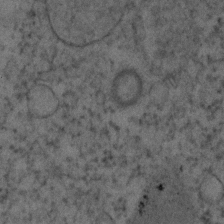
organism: Human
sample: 1205lu cells